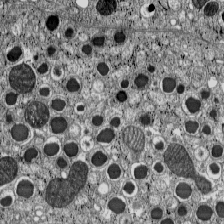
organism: C57BL Mouse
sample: Pancreatic islet